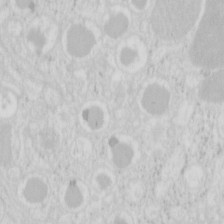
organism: Mouse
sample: Pancreas